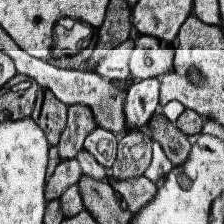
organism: Human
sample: Temporal Lobe